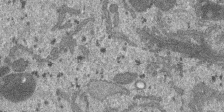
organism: Human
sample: Lung epithelial cells infected with SARS-CoV-2